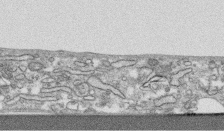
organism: Human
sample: CRL-1474